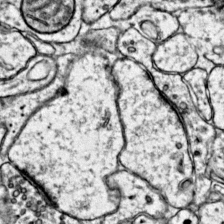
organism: Mouse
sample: Primary visual cortex